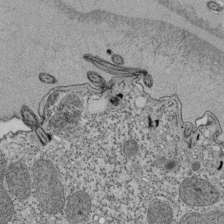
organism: Tetrahymena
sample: Cilia in tetrahymena